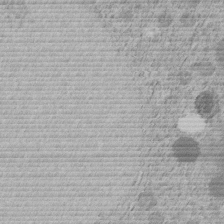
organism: C. elegans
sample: C. elegans embryo early stage